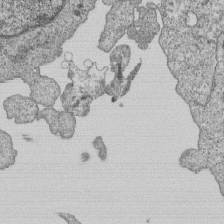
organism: Human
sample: MDA-MB-231 cells